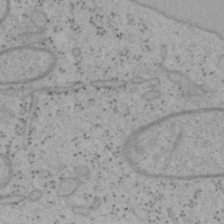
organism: Human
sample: HeLa cells